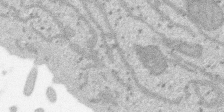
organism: Human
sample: Lung epithelial cells infected with SARS-CoV-2